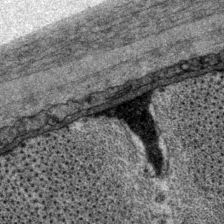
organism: P. pacificus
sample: Pharynx